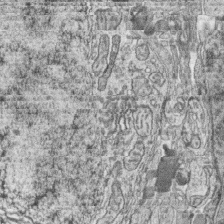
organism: Zebrafish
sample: synaptic ribbons in rod cells and cone cells